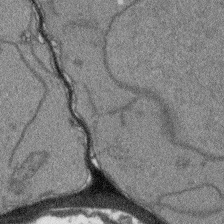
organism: Arabidopsis thaliana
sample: Root tip